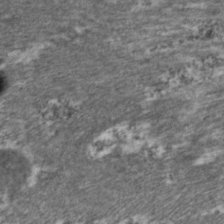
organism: C. elegans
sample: Pharynx